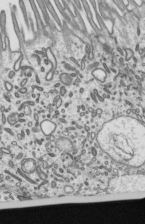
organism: Mouse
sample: Mouse epididymis efferent ductule cilia